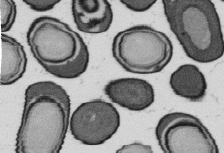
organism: B. subtilis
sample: Bacterial spore